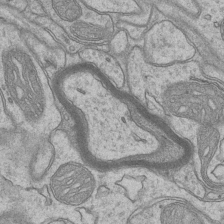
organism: Mouse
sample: CA1 Hippocampus